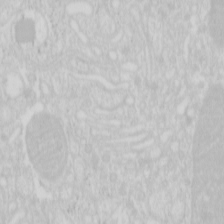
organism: Mouse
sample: Pancreas